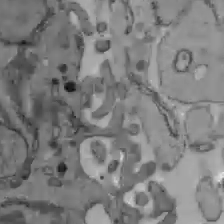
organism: C57BL Mouse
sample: Liver